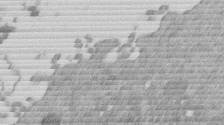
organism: Mouse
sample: Dividing mouse embryo 1 cell stage